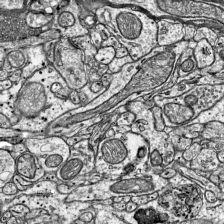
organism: Mouse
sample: Visual Cortex